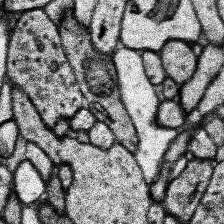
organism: Human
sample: Temporal Lobe